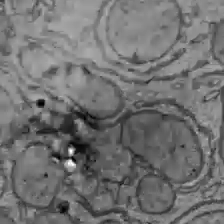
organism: C57BL Mouse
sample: Liver